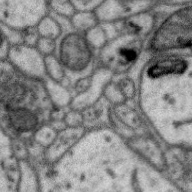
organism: Zebra finch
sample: Brain